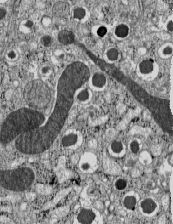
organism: C57BL Mouse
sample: Pancreatic islet